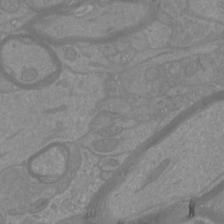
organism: Mouse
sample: Cortical neurons